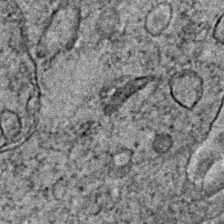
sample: Trachea